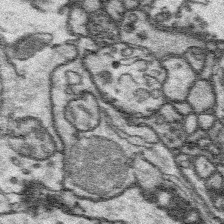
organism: Platynereis dumerilii